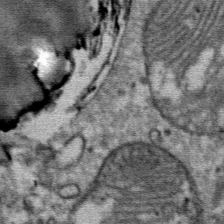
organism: Mouse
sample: Mouse Salivary gland